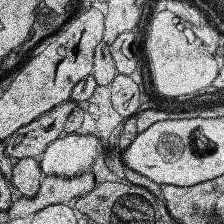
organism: Human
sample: Temporal Lobe